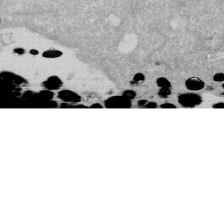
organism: Human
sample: HIV infected U937 cells